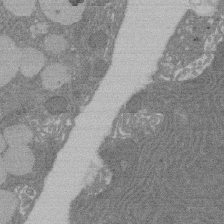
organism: Rat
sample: Salivary granule